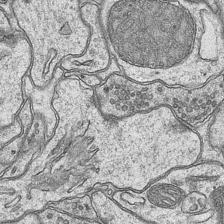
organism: Mouse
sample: CA1 Hippocampus